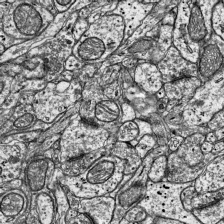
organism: Mouse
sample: Visual Cortex